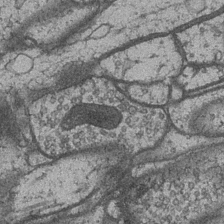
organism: Drosophila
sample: Optic medulla